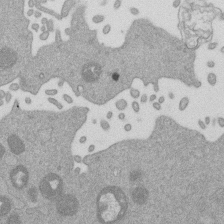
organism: Mouse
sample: Dividing mouse embryo 1 cell stage